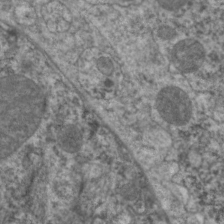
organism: C. elegans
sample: Pharynx